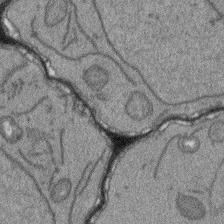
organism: Arabidopsis thaliana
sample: Root tip